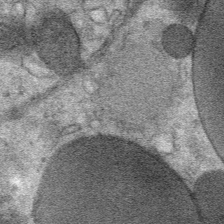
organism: Mouse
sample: Mouse Salivary gland